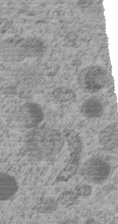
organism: C. elegans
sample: C. elegans embryo early stage